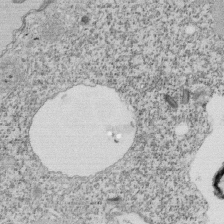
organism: Tetrahymena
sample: Cilia in tetrahymena